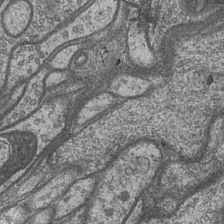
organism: Drosophila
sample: Optic medulla